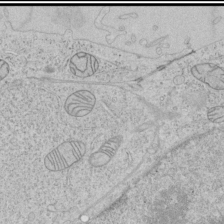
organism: Human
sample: Mitochondria in HCT116 cells